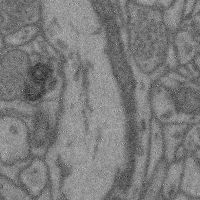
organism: Mouse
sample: Cerebral cortex